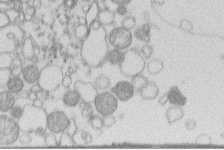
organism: Human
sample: Macrophage cells